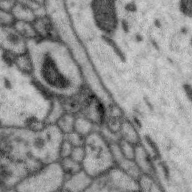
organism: Zebra finch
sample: Brain